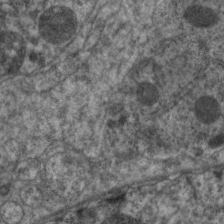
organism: C. elegans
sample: Pharynx